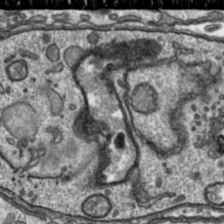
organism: Toxoplasma gondii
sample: Parasites in a vacuole inside a host cell